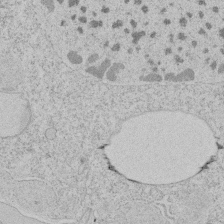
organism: Tetrahymena